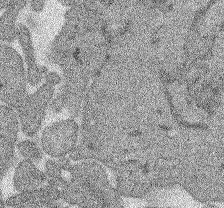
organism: Human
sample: HeLa cells